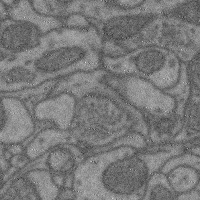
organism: Mouse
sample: Cerebral cortex